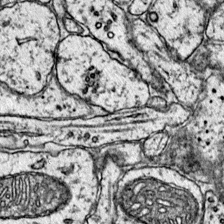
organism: Mouse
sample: Primary visual cortex